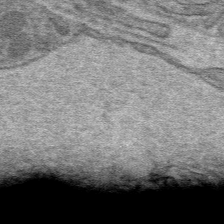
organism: Mouse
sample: Mouse hepatocytes